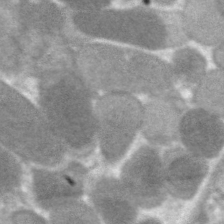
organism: C. elegans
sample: Pharynx